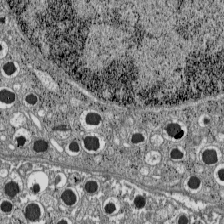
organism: C57BL Mouse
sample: Pancreatic islet